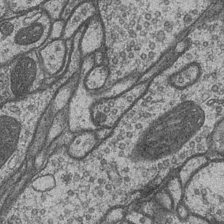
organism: Drosophila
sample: Optic medulla